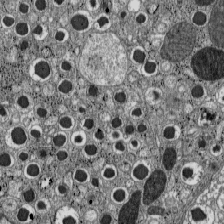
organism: C57BL Mouse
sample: Pancreatic islet